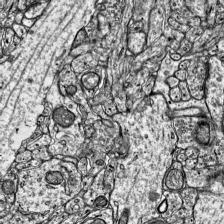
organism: Mouse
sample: Visual Cortex